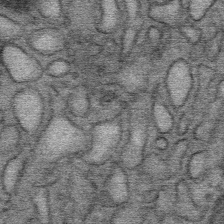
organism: Mouse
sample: Mouse Salivary gland